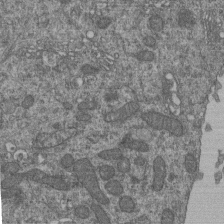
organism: Human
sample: Retinal organoid Rod and Cone cells